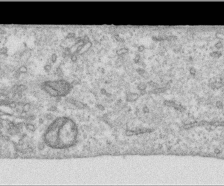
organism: Human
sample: Centriole in RPE cells